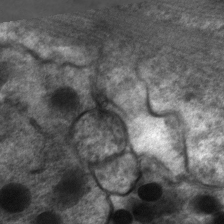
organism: C. elegans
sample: Pharynx